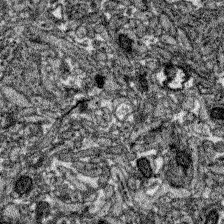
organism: Zebrafish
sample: Larval olfactory bulb